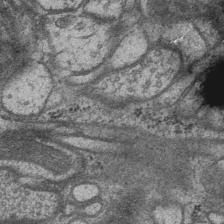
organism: Drosophila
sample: Optic medulla